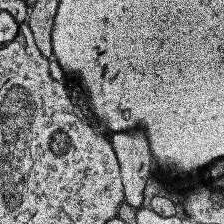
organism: Human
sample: Temporal Lobe